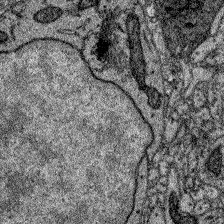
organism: Zebrafish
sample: Larval olfactory bulb